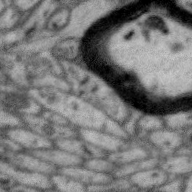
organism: Zebra finch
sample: Brain